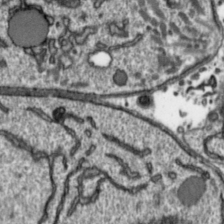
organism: Toxoplasma gondii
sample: Parasites in a vacuole inside a host cell